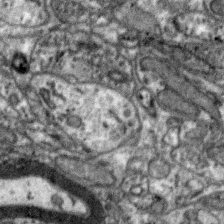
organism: Zebra finch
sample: Brain